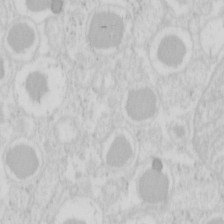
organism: Mouse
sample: Pancreas